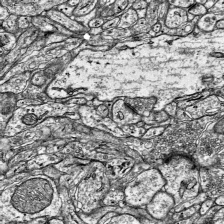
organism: Mouse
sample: Visual Cortex